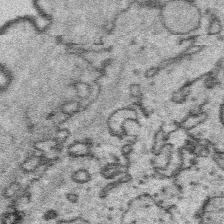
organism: Platynereis dumerilii